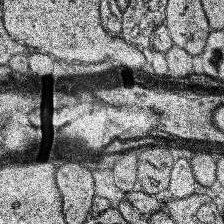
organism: Human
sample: Temporal Lobe